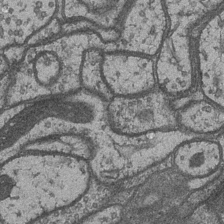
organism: Drosophila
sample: Optic medulla